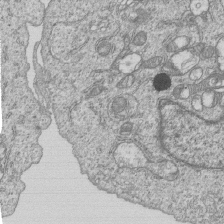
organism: Human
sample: MDA-MB-231 cells